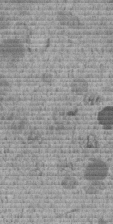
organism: C. elegans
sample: C. elegans embryo early stage